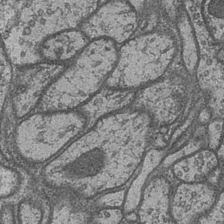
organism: Drosophila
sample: Optic medulla